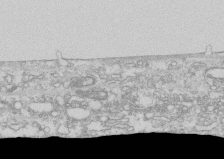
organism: Human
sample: CRL-1474